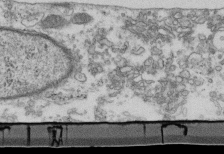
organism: Mouse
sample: Cilia; retinal pigment epithelium